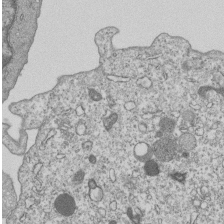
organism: Human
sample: MDA-MB-231 cells